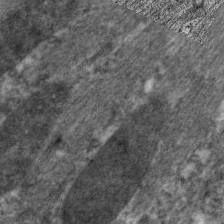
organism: C. elegans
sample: Pharynx